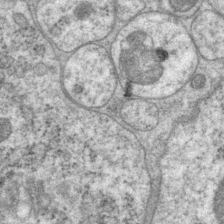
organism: P. pacificus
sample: Pharynx